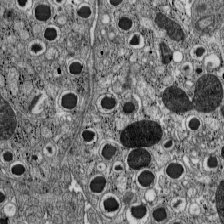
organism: C57BL Mouse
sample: Pancreatic islet